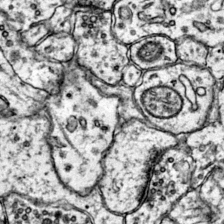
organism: Mouse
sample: Primary visual cortex